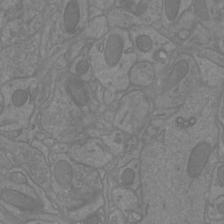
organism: Mouse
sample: Cortical neurons